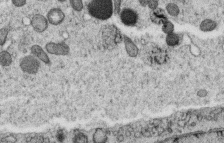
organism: C. elegans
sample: C. elegans oocyte; sperm cells